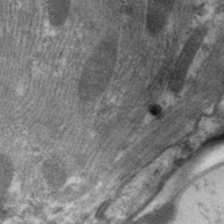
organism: C. elegans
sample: Pharynx